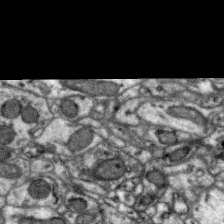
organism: Zebra finch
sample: Brain